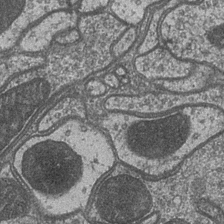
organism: Drosophila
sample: Optic medulla